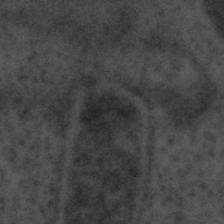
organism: Tuwongella immobilis